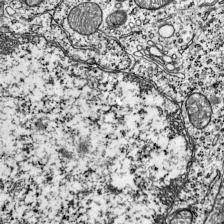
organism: Mouse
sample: Visual Cortex